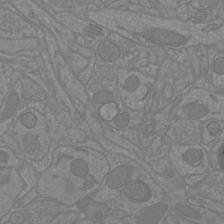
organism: Mouse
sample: Cortical neurons